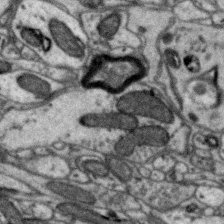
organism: Zebra finch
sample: Brain